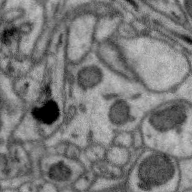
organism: Zebra finch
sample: Brain